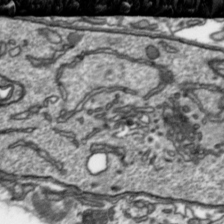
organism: Toxoplasma gondii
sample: Parasites in a vacuole inside a host cell